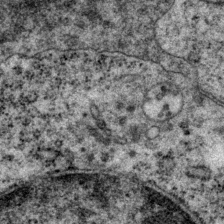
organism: P. pacificus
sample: Pharynx